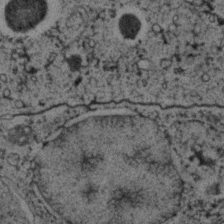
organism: C. elegans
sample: C. elegans embryo